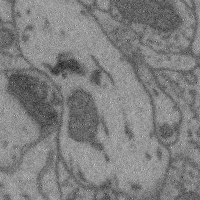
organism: Mouse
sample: Cerebral cortex